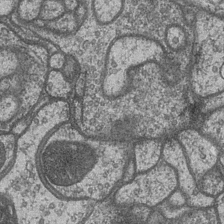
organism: Drosophila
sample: Optic medulla